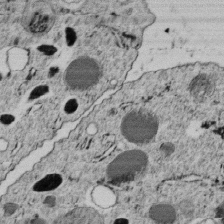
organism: C. elegans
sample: C. elegans embryo early stage